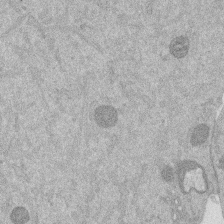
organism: Mouse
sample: Dividing mouse embryo 1 cell stage